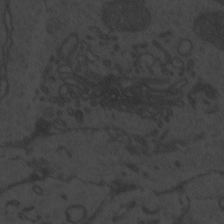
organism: Zebrafish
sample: Macrophage infected with Toxoplasma gondii